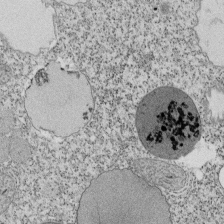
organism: Tetrahymena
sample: Cilia in tetrahymena